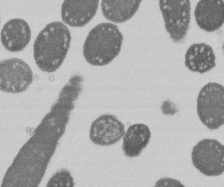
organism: E. coli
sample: Bacterial nucleoid